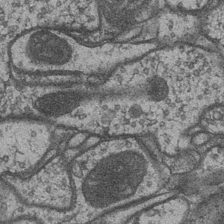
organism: Drosophila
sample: Optic medulla